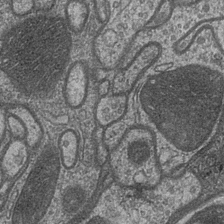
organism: Drosophila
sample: Optic medulla